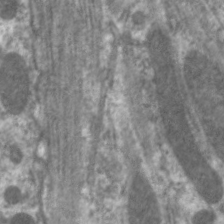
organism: C. elegans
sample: Pharynx